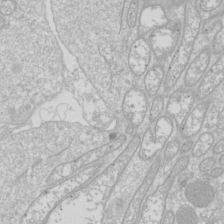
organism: Drosophila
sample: Cell division; meiosis; drosophila spermatocytes